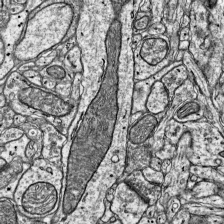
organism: Mouse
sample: Visual Cortex